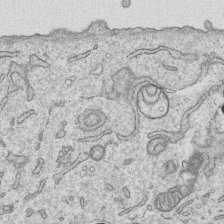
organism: Human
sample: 1205lu cells